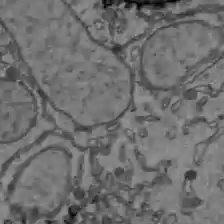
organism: C57BL Mouse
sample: Liver